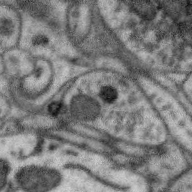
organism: Zebra finch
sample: Brain